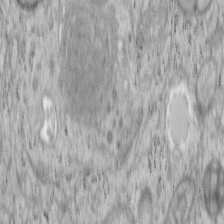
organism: Human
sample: HeLa cells